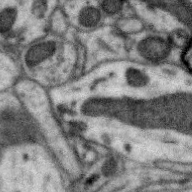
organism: Zebra finch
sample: Brain